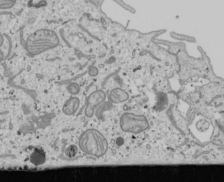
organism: Human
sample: Mitochondria in U2OS cells